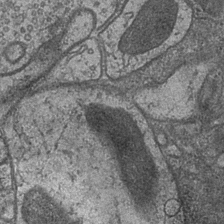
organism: Drosophila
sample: Optic medulla